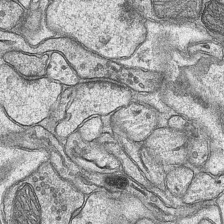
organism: Mouse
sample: CA1 Hippocampus